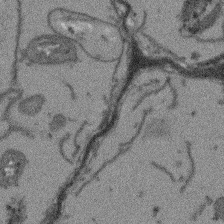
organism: Arabidopsis thaliana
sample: Root tip